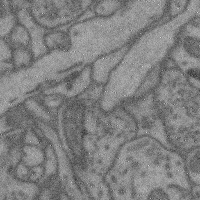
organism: Mouse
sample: Cerebral cortex